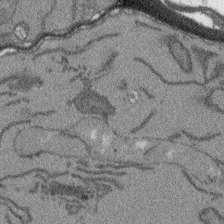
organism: Arabidopsis thaliana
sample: Root tip